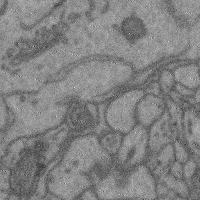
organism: Mouse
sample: Cerebral cortex